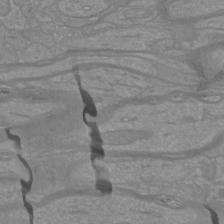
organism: Mouse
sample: Cortical neurons